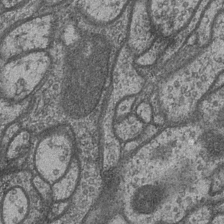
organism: Drosophila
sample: Optic medulla